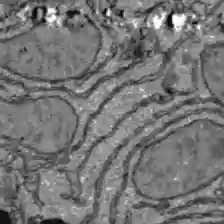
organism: C57BL Mouse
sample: Liver